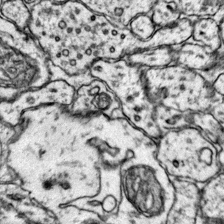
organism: Mouse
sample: Primary visual cortex